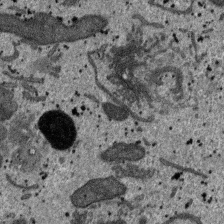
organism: Human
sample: Lung epithelial cells, uninfected (mock) control